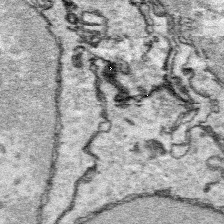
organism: Platynereis dumerilii